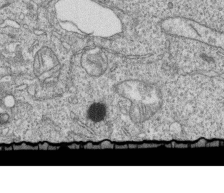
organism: Human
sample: HeLa cell HIV synapse